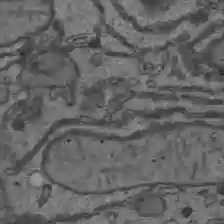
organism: C57BL Mouse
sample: Liver